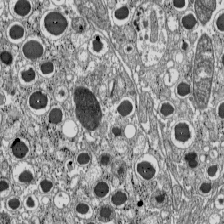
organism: C57BL Mouse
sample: Pancreatic islet